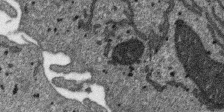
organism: Human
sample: Lung epithelial cells infected with SARS-CoV-2